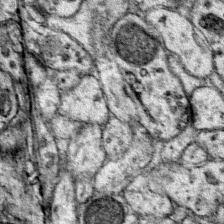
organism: Mouse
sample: Primary visual cortex